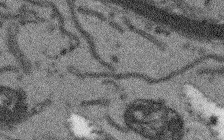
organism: Arabidopsis thaliana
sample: Root tip